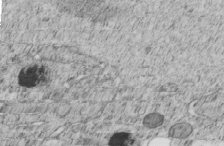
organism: C. elegans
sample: C. elegans embryo early stage